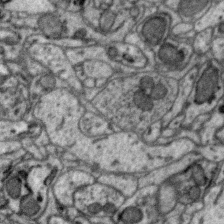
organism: Zebra finch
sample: Brain